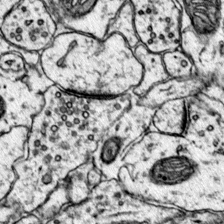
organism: Mouse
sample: Primary visual cortex